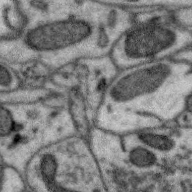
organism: Zebra finch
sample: Brain